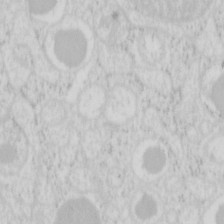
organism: Mouse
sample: Pancreas